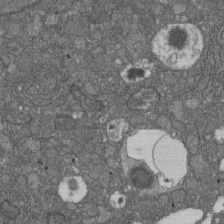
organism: Drosophila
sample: Nephrocyte